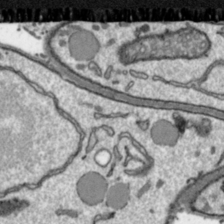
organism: Toxoplasma gondii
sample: Parasites in a vacuole inside a host cell